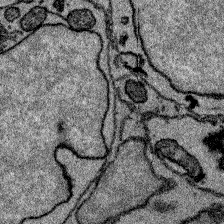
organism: Zebrafish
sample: Larval olfactory bulb